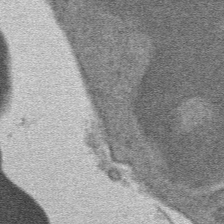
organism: Mouse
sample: Mouse hepatocytes